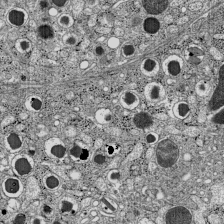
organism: C57BL Mouse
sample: Pancreatic islet